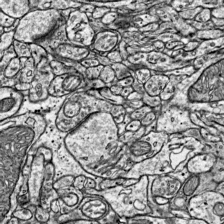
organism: Mouse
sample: Visual Cortex